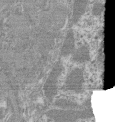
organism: Mouse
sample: Glomerulus